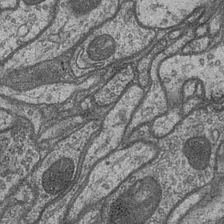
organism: Drosophila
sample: Optic medulla